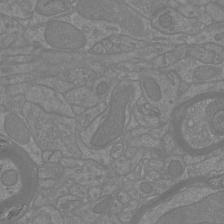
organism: Mouse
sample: Cortical neurons